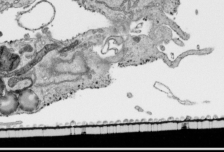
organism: Human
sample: Mitochondria in HCT116 cells